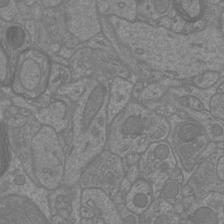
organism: Mouse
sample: Cortical neurons